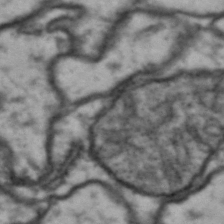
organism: Drosophila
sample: Brain